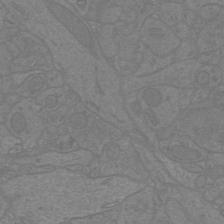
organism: Mouse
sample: Cortical neurons